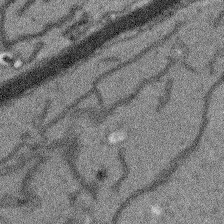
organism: Arabidopsis thaliana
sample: Root tip